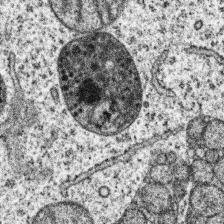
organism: Human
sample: HeLa cells